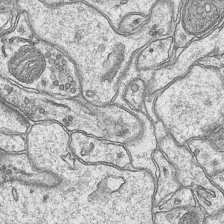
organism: Mouse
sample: CA1 Hippocampus